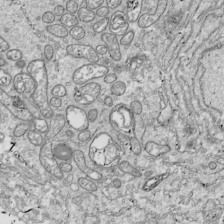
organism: Drosophila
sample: Cell division; meiosis; drosophila spermatocytes